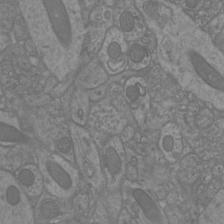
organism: Mouse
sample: Cortical neurons